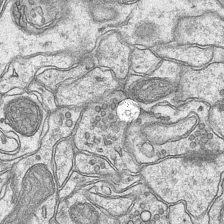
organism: Mouse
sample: CA1 Hippocampus